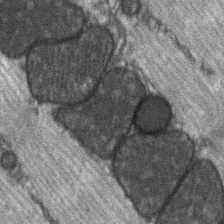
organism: C57BL Mouse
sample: Soleus